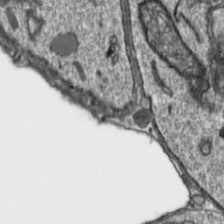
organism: Toxoplasma gondii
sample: Parasites in a vacuole inside a host cell